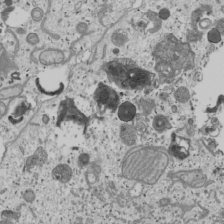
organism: Human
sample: Mitochondria in U2OS cells